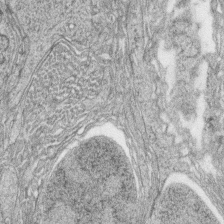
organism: Zebrafish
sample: synaptic ribbons in rod cells and cone cells